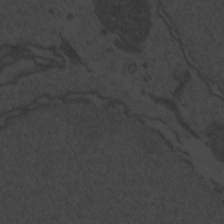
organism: Zebrafish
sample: Macrophage infected with Toxoplasma gondii